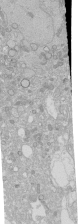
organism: Human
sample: Caco-2 cells